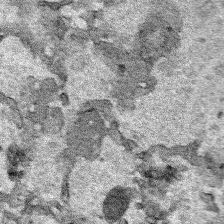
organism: Human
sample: Mitochondria in HCT116 cells